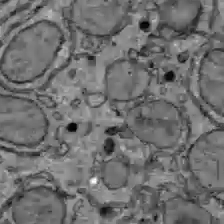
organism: C57BL Mouse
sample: Liver